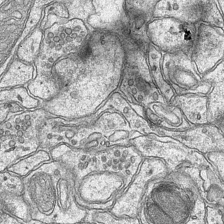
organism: Mouse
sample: CA1 Hippocampus